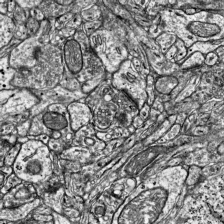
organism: Mouse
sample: Visual Cortex